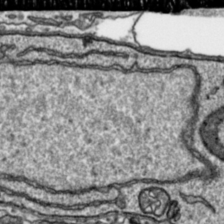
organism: Toxoplasma gondii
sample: Parasites in a vacuole inside a host cell